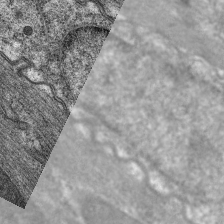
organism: C. elegans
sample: Pharynx